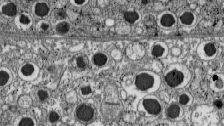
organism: C57BL Mouse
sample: Pancreatic islet